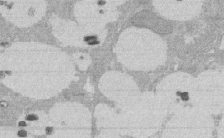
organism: Rat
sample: Salivary granule